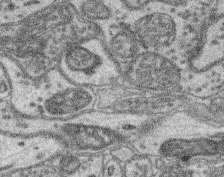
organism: Mouse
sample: Retina